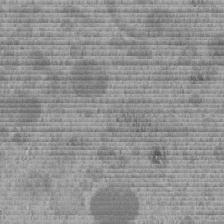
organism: C. elegans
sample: C. elegans embryo early stage